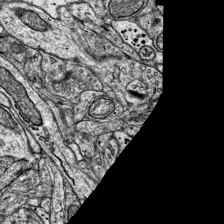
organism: Mouse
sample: Visual Cortex